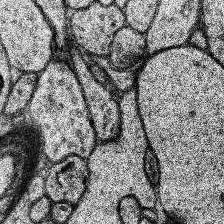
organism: Human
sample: Temporal Lobe